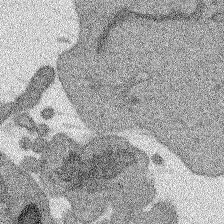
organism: Human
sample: HeLa cells